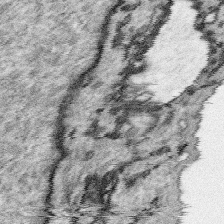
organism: Human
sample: HeLa cells